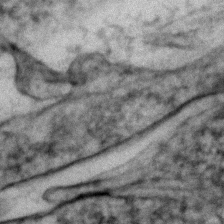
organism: Zebrafish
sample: Zebrafish embryo